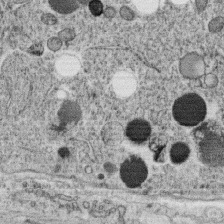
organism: C. elegans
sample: C. elegans oocyte; sperm cells